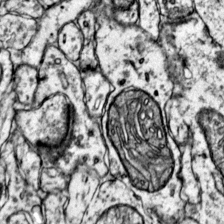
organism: Mouse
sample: Primary visual cortex